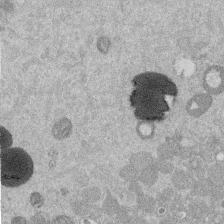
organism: Mouse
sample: Dividing mouse embryo 1 cell stage